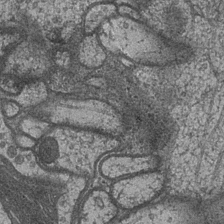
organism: Drosophila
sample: Optic medulla